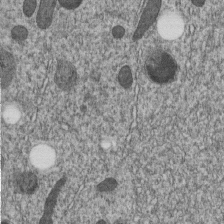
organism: C. elegans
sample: C. elegans embryo early stage